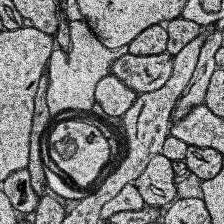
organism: Human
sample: Temporal Lobe